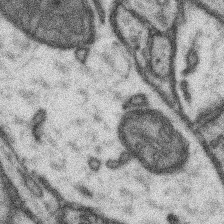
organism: Mouse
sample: Somatosensory cortex neuropil